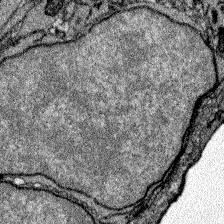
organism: Zebrafish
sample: Larval olfactory bulb